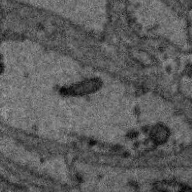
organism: Zebra finch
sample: Brain